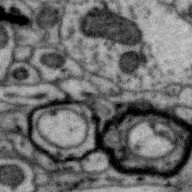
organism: Zebra finch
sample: Brain